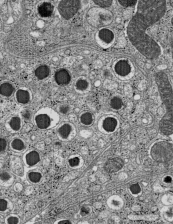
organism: C57BL Mouse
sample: Pancreatic islet